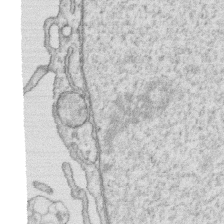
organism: Human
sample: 1205lu cells